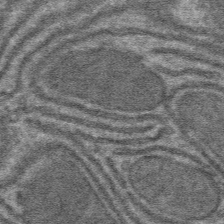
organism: Mouse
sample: Mouse hepatocytes